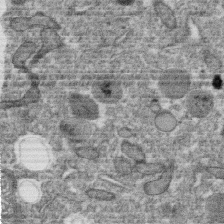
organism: C. elegans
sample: C. elegans oocyte; sperm cells